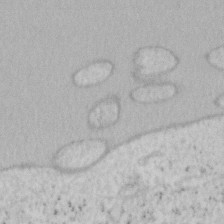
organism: Human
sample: HeLa cells